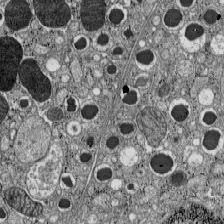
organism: C57BL Mouse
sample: Pancreatic islet